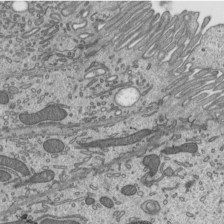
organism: Mouse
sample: Mouse epididymis efferent ductule cilia